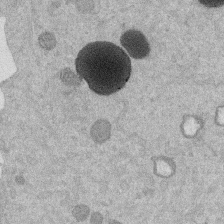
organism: Mouse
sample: Dividing mouse embryo 1 cell stage